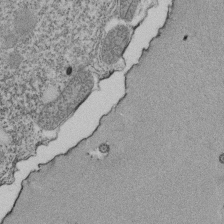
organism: Tetrahymena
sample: Cilia in tetrahymena